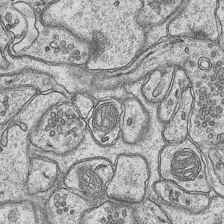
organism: Mouse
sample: CA1 Hippocampus